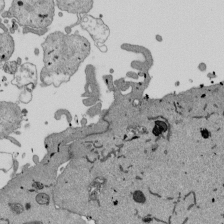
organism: Mouse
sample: ED-1 cell nuclei; centrioles